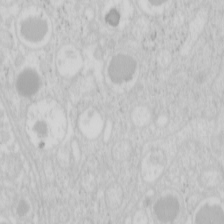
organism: Mouse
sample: Pancreas